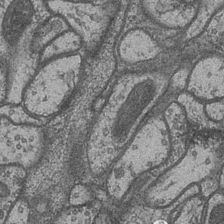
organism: Drosophila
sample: Optic medulla